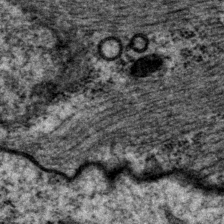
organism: P. pacificus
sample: Pharynx